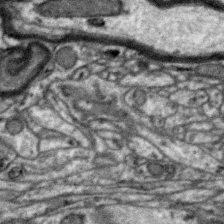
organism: Zebra finch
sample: Brain